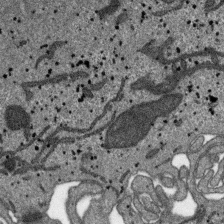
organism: Human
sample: Lung epithelial cells, uninfected (mock) control